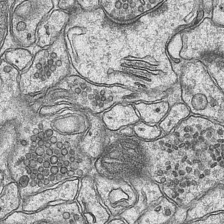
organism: Mouse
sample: CA1 Hippocampus